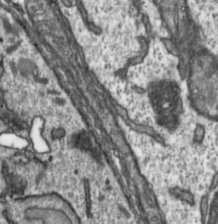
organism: Toxoplasma gondii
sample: Parasites in a vacuole inside a host cell